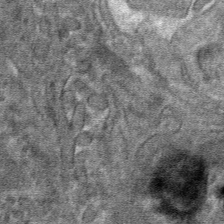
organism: Mouse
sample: Mouse hepatocytes